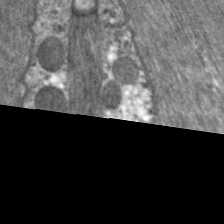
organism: C. elegans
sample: Pharynx